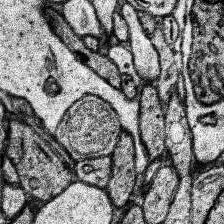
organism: Human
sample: Temporal Lobe